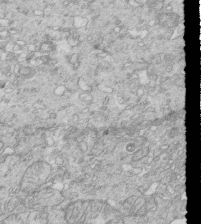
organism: Mouse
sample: Multiciliated cells